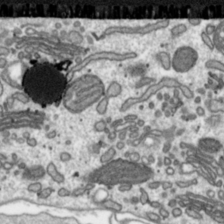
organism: Toxoplasma gondii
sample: Parasites in a vacuole inside a host cell